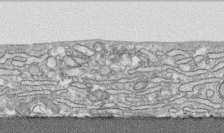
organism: Human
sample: CRL-1474